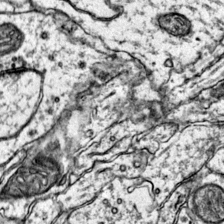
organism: Mouse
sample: Primary visual cortex